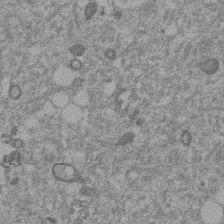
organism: Mouse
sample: Dividing mouse embryo 1 cell stage